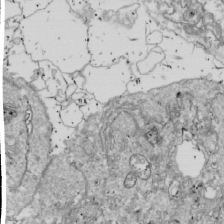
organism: Drosophila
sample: Cell division; meiosis; drosophila spermatocytes